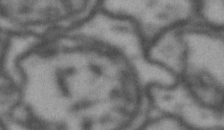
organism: Drosophila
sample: Brain